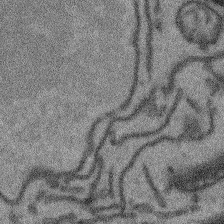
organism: Arabidopsis thaliana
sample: Root tip